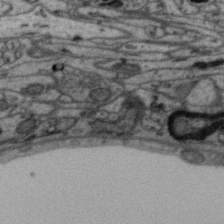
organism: Zebra finch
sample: Brain